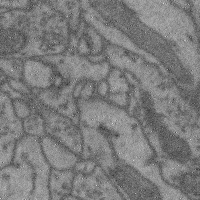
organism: Mouse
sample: Cerebral cortex